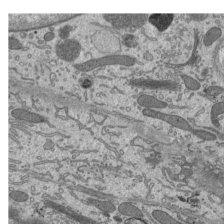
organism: Mouse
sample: Mouse epididymis efferent ductule cilia